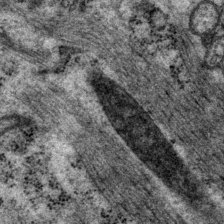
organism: P. pacificus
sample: Pharynx